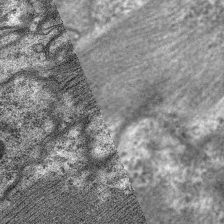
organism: C. elegans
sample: Pharynx